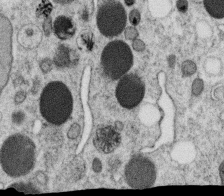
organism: C. elegans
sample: C. elegans oocyte; sperm cells